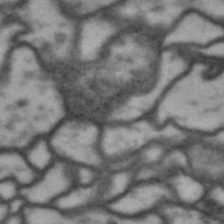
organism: Drosophila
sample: Brain